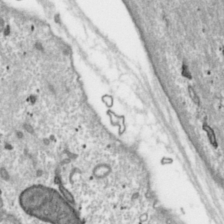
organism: Toxoplasma gondii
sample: Parasites in a vacuole inside a host cell